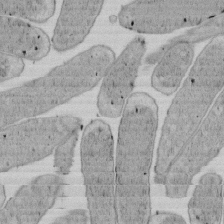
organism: E. coli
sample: Bacterial nucleoid